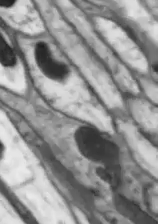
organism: Drosophila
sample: Optic lobe